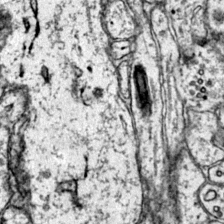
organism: Mouse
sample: Primary visual cortex